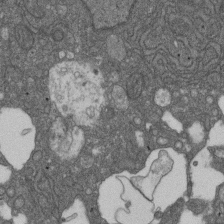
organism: Drosophila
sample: Nephrocyte